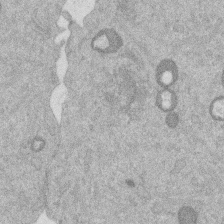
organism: Mouse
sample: Dividing mouse embryo 1 cell stage